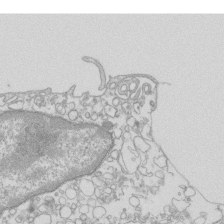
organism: Mouse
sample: Macrophages